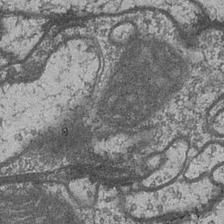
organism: Drosophila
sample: Optic medulla